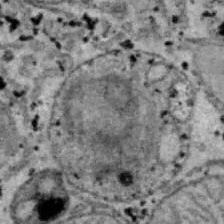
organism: Mouse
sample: Liver from an obese (ob/ob) mouse